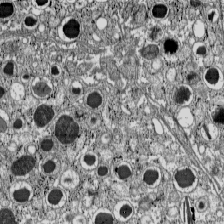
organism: C57BL Mouse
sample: Pancreatic islet